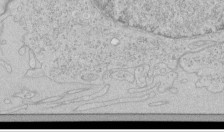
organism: Human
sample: Mitochondria in HCT116 cells